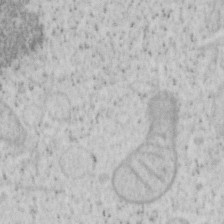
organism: Human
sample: HeLa cells